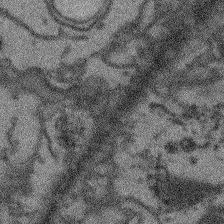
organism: Arabidopsis thaliana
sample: Root tip